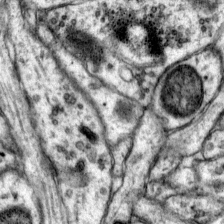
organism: Mouse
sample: Primary visual cortex